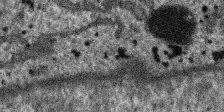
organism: Human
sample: Lung epithelial cells infected with SARS-CoV-2